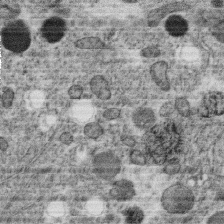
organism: C. elegans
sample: C. elegans oocyte; sperm cells